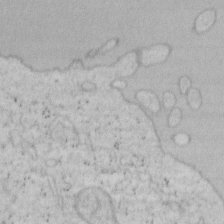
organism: Human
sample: HeLa cells